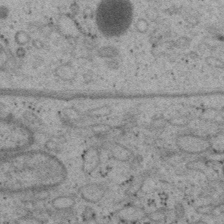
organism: Human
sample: HeLa cells